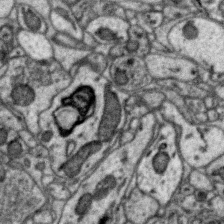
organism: Zebra finch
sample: Brain